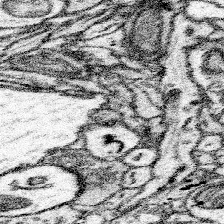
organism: Mouse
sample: Somatosensory cortex neuropil